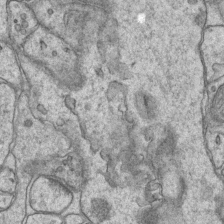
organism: Mouse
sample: CA1 Hippocampus